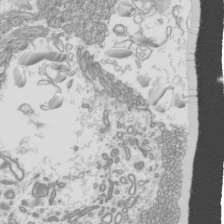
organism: Mouse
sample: Cilia; mouse epididymis